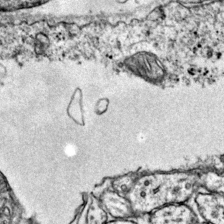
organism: Mouse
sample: Primary visual cortex